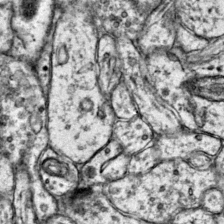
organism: Mouse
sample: Primary visual cortex